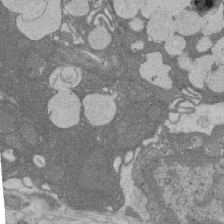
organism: Rat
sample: Salivary granule